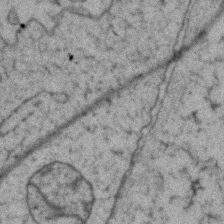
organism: Zebrafish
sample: Zebrafish embryo